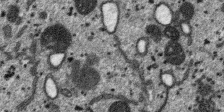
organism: Human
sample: Lung epithelial cells infected with SARS-CoV-2